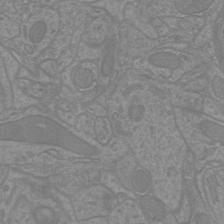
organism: Mouse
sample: Cortical neurons